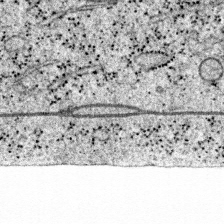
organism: Human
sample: HeLa cells